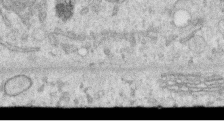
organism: Human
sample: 1205lu cells